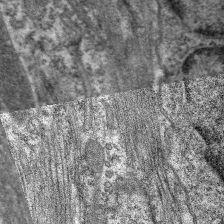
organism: C. elegans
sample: Pharynx